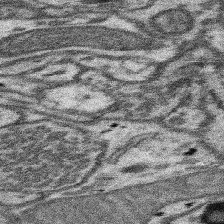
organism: Mouse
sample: Somatosensory cortex neuropil